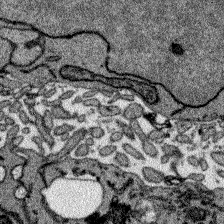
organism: Zebrafish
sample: Larval olfactory bulb